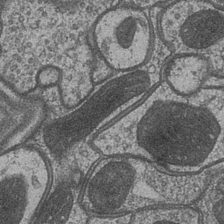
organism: Drosophila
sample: Optic medulla